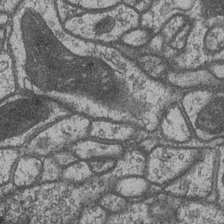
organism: Drosophila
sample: Optic medulla